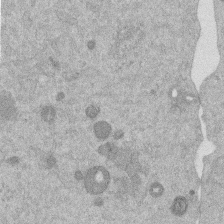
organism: Mouse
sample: Dividing mouse embryo 1 cell stage